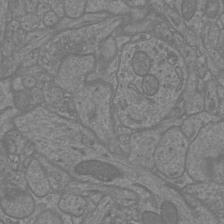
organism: Mouse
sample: Cortical neurons